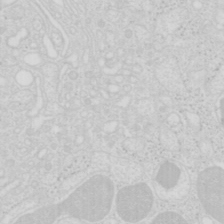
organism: Mouse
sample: Pancreas